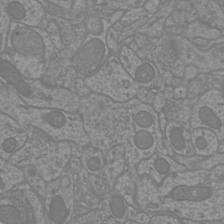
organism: Mouse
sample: Cortical neurons